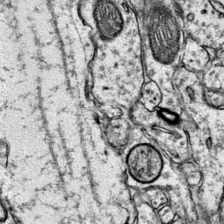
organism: Mouse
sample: Primary visual cortex